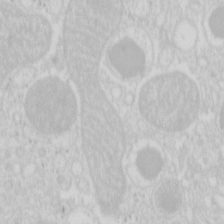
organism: Mouse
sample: Pancreas